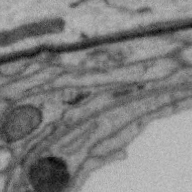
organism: Zebra finch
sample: Brain